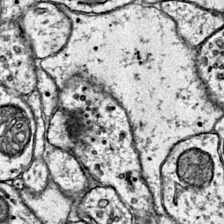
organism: Mouse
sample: Primary visual cortex